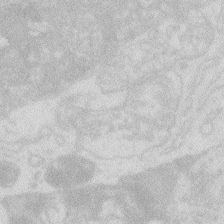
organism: Zebrafish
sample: Macrophage